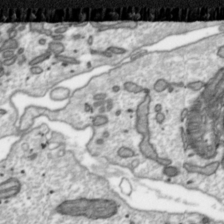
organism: Toxoplasma gondii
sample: Parasites in a vacuole inside a host cell